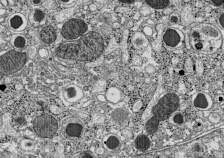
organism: C57BL Mouse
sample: Pancreatic islet